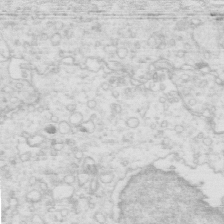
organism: Mouse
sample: Multiciliated cells